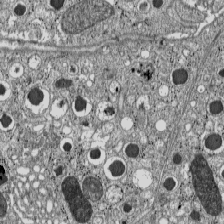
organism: C57BL Mouse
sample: Pancreatic islet